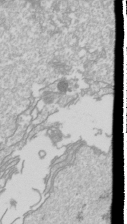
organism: Drosophila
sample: Cell division; meiosis; drosophila spermatocytes